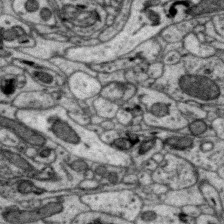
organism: Zebra finch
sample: Brain